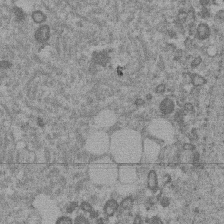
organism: Mouse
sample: Dividing mouse embryo 1 cell stage